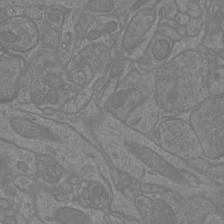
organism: Mouse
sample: Cortical neurons